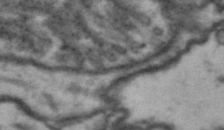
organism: Drosophila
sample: Brain